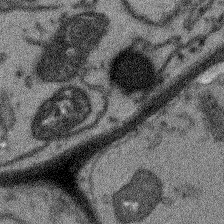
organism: Arabidopsis thaliana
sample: Root tip